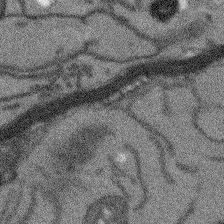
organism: Arabidopsis thaliana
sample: Root tip